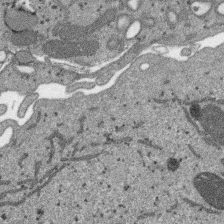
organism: Human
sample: Lung epithelial cells infected with SARS-CoV-2